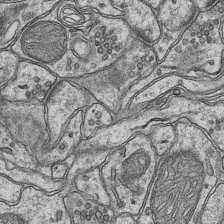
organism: Mouse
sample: CA1 Hippocampus